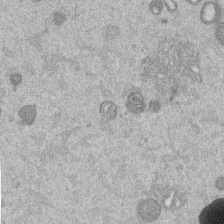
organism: Mouse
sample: Dividing mouse embryo 1 cell stage